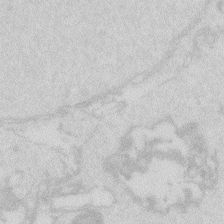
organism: Zebrafish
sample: Macrophage